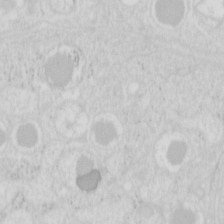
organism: Mouse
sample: Pancreas